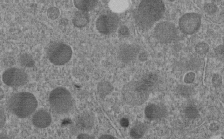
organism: C. elegans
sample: C. elegans embryo early stage